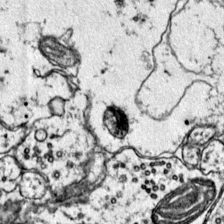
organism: Mouse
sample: Primary visual cortex